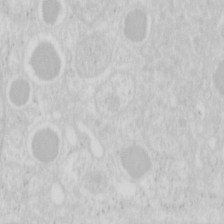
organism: Mouse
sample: Pancreas